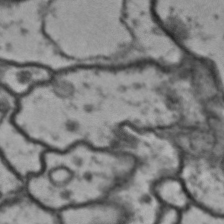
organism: Drosophila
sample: Brain